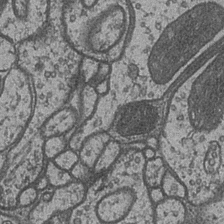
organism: Drosophila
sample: Optic medulla